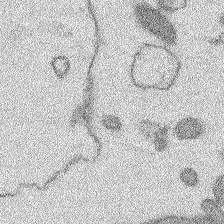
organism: Human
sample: HeLa cells